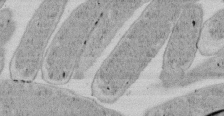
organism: E. coli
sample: Bacterial nucleoid